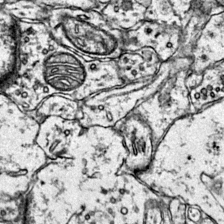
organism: Mouse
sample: Primary visual cortex